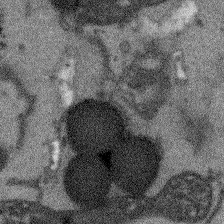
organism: Arabidopsis thaliana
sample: Root tip